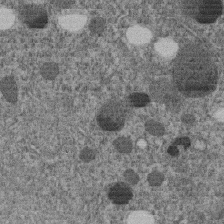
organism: C. elegans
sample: C. elegans embryo early stage